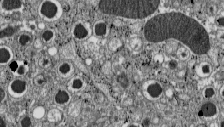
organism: C57BL Mouse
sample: Pancreatic islet